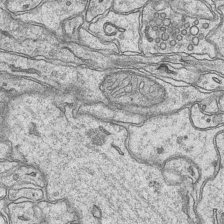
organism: Mouse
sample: CA1 Hippocampus